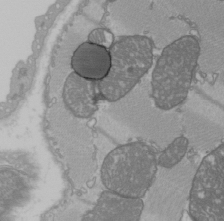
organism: C57BL Mouse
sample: Heart